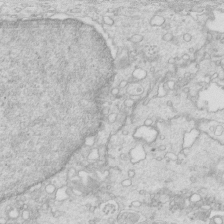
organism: Mouse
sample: Multiciliated cells